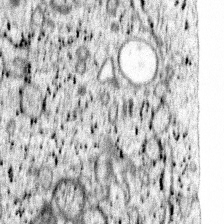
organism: Human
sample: HeLa cells